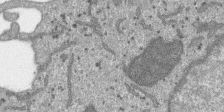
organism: Human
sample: Lung epithelial cells infected with SARS-CoV-2